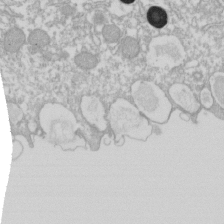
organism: Xenopus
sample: Cilia; centrioles in frog embryo cells